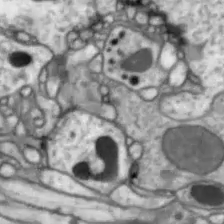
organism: Drosophila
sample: Optic lobe